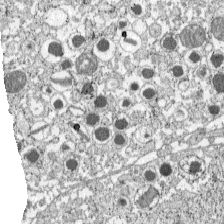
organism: C57BL Mouse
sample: Pancreatic islet